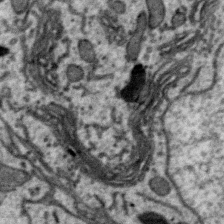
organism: Zebra finch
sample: Brain